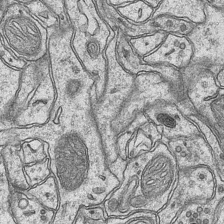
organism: Mouse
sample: CA1 Hippocampus